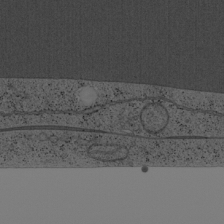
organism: African green monkey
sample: COS-7 cells